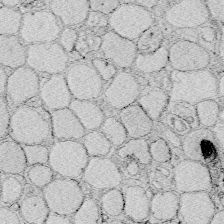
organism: Zebrafish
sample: Whole-Brain